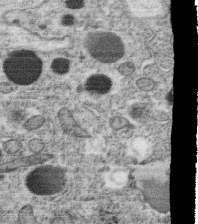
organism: C. elegans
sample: C. elegans oocyte; sperm cells